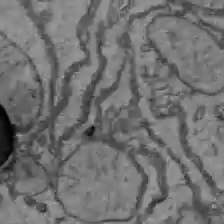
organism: C57BL Mouse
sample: Liver